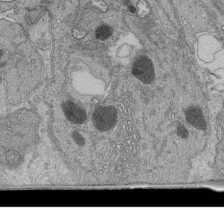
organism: Human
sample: Retinal organoid Rod and Cone cells